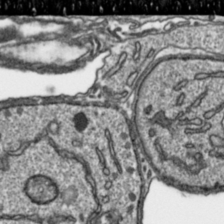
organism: Toxoplasma gondii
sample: Parasites in a vacuole inside a host cell